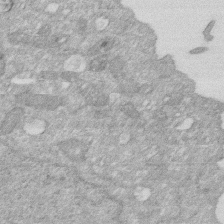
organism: Human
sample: HIV infected U937 cells